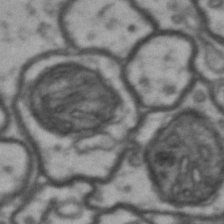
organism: Drosophila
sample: Brain